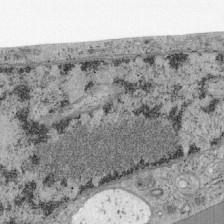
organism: Human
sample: HeLa cells